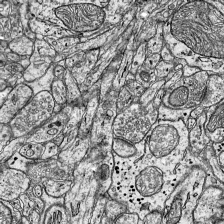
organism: Mouse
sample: Visual Cortex